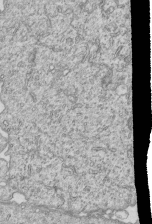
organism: Human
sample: MDA-MB-231 cells